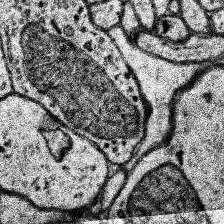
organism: Human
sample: Temporal Lobe